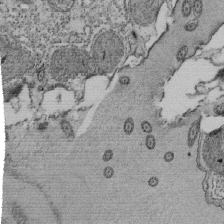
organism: Tetrahymena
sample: Cilia in tetrahymena